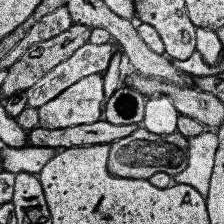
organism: Human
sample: Temporal Lobe